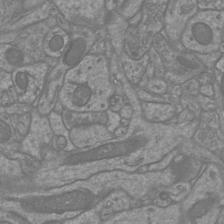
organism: Mouse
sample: Cortical neurons